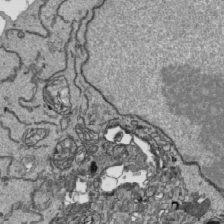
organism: Human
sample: Mitochondria in HCT116 cells